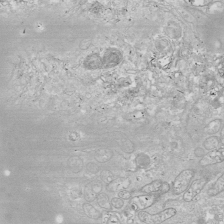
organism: Drosophila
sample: Cell division; meiosis; drosophila spermatocytes